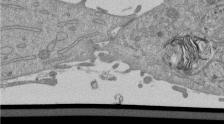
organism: Mouse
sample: ED-1 cell nuclei; centrioles